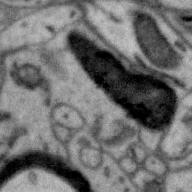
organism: Zebra finch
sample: Brain